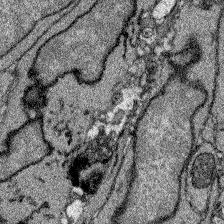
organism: Zebrafish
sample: Larval olfactory bulb